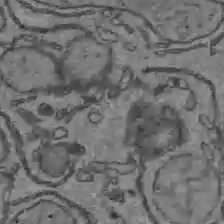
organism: C57BL Mouse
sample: Liver